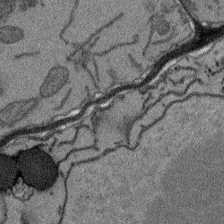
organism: Arabidopsis thaliana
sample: Root tip